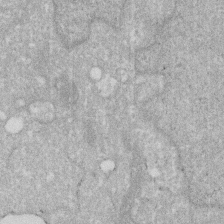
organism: Human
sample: HIV infected U937 cells